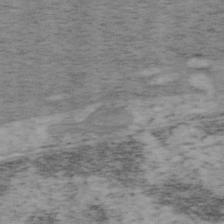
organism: Mouse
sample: OT-I killer T cells with ID8 ovarian cancer cells